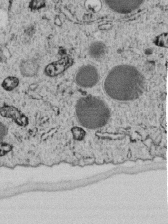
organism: C. elegans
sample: C. elegans embryo early stage